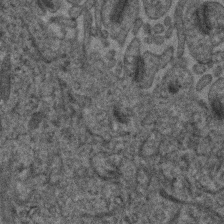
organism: Human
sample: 1205lu cells